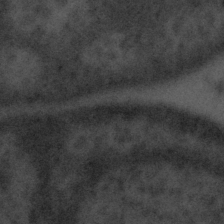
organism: Tuwongella immobilis